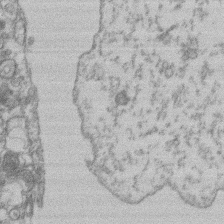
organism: Mouse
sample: T cell stromal cell synapse